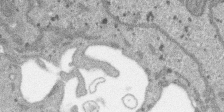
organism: Human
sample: Lung epithelial cells infected with SARS-CoV-2